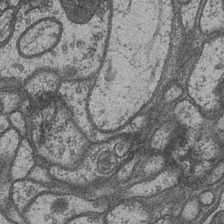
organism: Drosophila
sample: Optic medulla